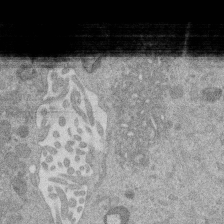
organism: Mouse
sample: Dividing mouse embryo 1 cell stage